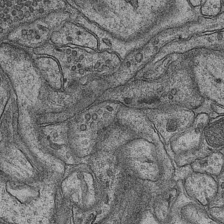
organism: Mouse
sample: CA1 Hippocampus